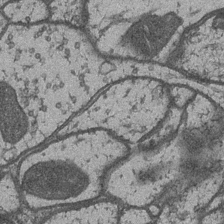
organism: Drosophila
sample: Optic medulla